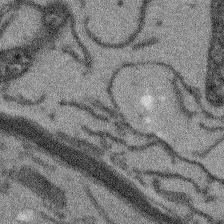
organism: Arabidopsis thaliana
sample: Root tip